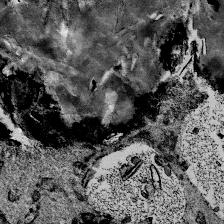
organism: Mouse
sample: Mouse Salivary gland